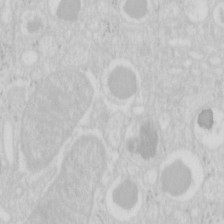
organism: Mouse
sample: Pancreas